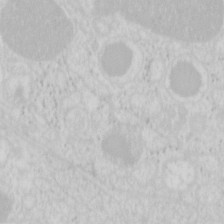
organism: Mouse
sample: Pancreas